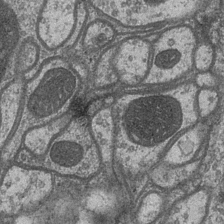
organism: Drosophila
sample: Optic medulla